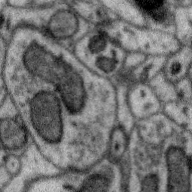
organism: Zebra finch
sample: Brain